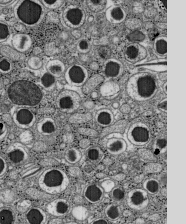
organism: C57BL Mouse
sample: Pancreatic islet